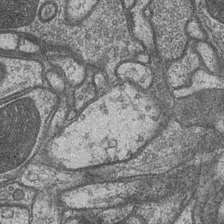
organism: Drosophila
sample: Optic medulla